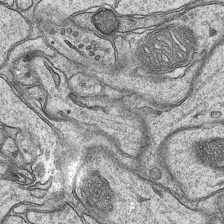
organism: Mouse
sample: CA1 Hippocampus